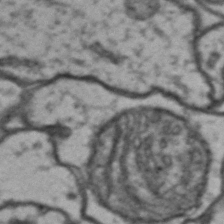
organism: Drosophila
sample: Brain